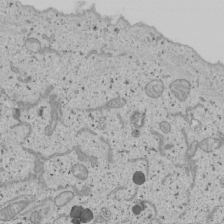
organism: Human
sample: Mitochondria in U2OS cells